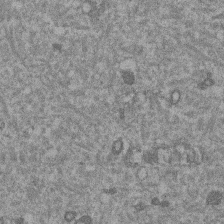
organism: Mouse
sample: Dividing mouse embryo 1 cell stage